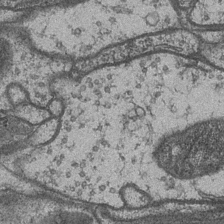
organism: Drosophila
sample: Optic medulla